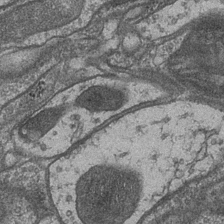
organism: Drosophila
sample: Optic medulla